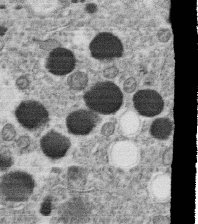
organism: C. elegans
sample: C. elegans oocyte; sperm cells